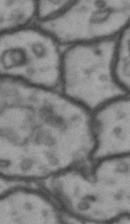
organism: Drosophila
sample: Brain